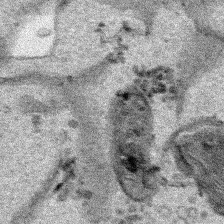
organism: Human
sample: Mitochondria in HCT116 cells